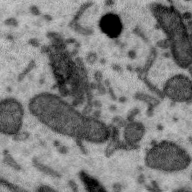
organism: Zebra finch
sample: Brain